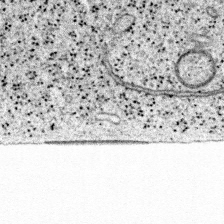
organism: Human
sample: HeLa cells